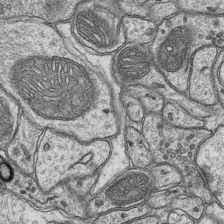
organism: Mouse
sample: CA1 Hippocampus